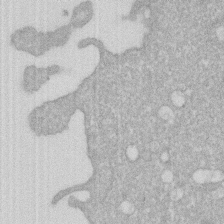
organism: Human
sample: HIV infected U937 cells